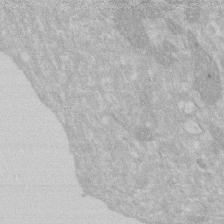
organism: Human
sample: HIV infected U937 cells